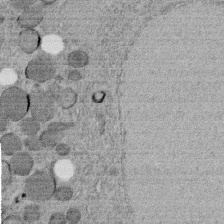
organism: C. elegans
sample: C. elegans embryo early stage